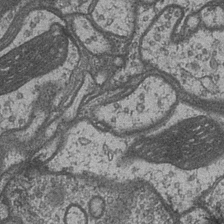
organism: Drosophila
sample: Optic medulla